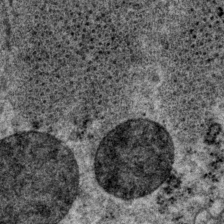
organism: P. pacificus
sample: Pharynx